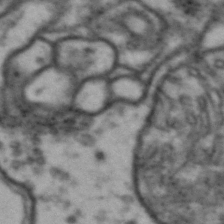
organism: Drosophila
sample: Brain